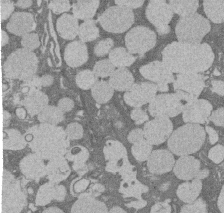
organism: Rat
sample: Salivary granule